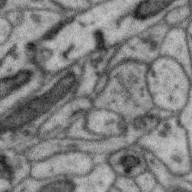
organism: Zebra finch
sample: Brain